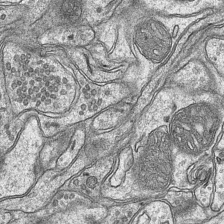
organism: Mouse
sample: CA1 Hippocampus